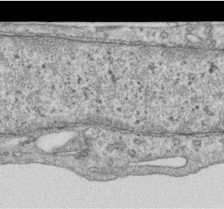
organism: Human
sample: Centriole in RPE cells